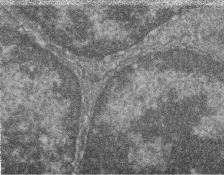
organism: Zebrafish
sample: Cilia; retinal pigment epithelium